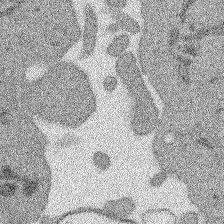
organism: Human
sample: HeLa cells